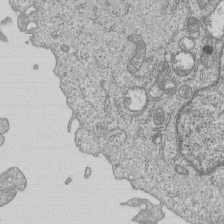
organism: Human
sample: MDA-MB-231 cells